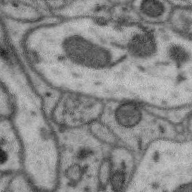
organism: Zebra finch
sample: Brain